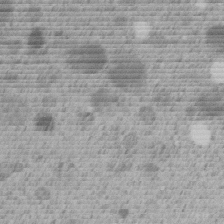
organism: C. elegans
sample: C. elegans embryo early stage